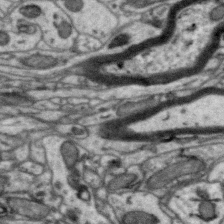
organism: Zebra finch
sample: Brain